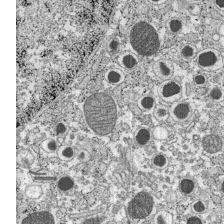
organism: C57BL Mouse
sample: Pancreatic islet